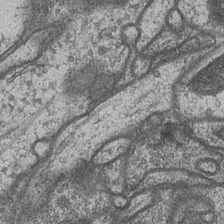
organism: Drosophila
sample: Optic medulla